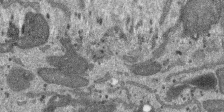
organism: Human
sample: Lung epithelial cells infected with SARS-CoV-2